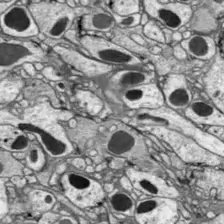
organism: Drosophila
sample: Optic lobe